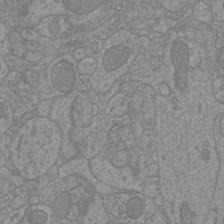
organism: Mouse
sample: Cortical neurons